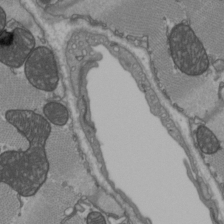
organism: C57BL Mouse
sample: Heart